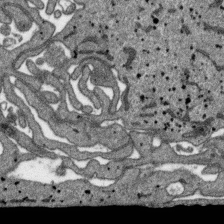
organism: Human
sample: Lung epithelial cells, uninfected (mock) control